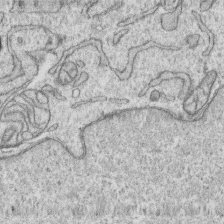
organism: Human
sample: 1205lu cells